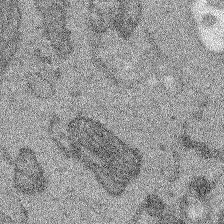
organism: Human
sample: HeLa cells